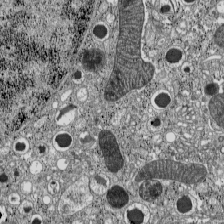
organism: C57BL Mouse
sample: Pancreatic islet